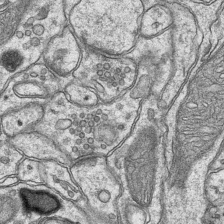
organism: Mouse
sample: CA1 Hippocampus